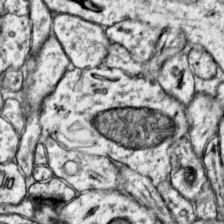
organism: Mouse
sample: Primary visual cortex